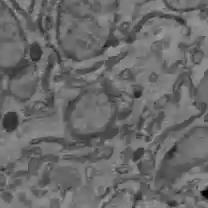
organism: C57BL Mouse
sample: Liver